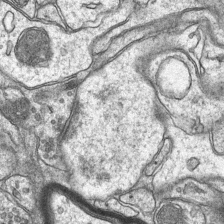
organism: Mouse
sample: CA1 Hippocampus